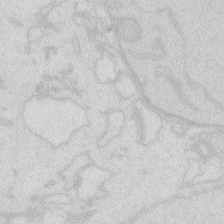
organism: Zebrafish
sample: Macrophage